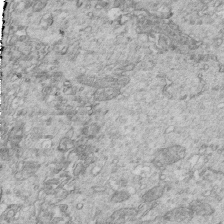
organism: Mouse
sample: Multiciliated cells